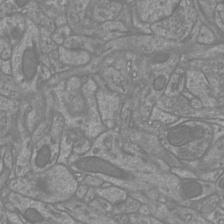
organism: Mouse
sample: Cortical neurons